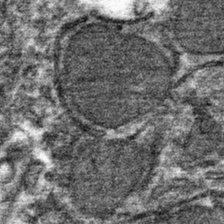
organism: Mouse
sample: Mouse hepatocytes